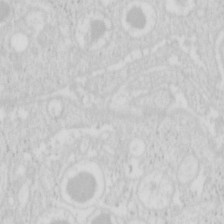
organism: Mouse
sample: Pancreas